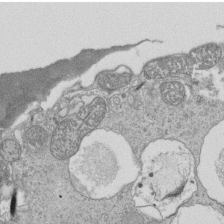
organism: Tetrahymena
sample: Cilia in tetrahymena